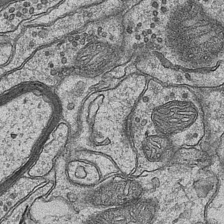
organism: Mouse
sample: CA1 Hippocampus